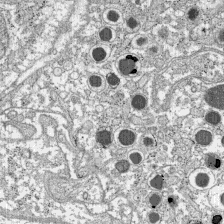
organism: C57BL Mouse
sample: Pancreatic islet